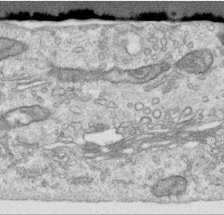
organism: Human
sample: Centriole in RPE cells